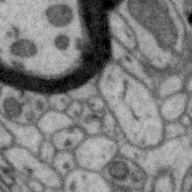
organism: Zebra finch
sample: Brain